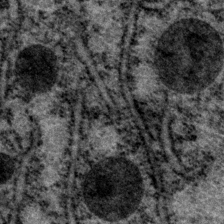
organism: P. pacificus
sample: Pharynx